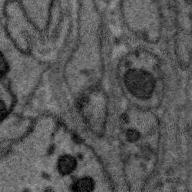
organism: Zebra finch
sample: Brain